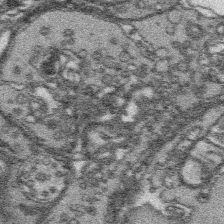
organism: Platynereis dumerilii